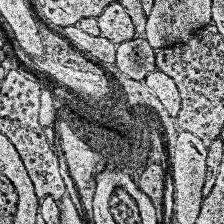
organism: Human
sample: Temporal Lobe